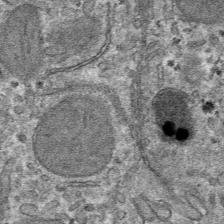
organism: Mouse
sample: Mouse hepatocytes